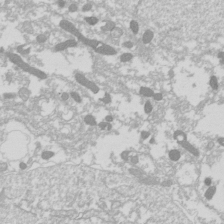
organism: Drosophila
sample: Cell division; meiosis; drosophila spermatocytes